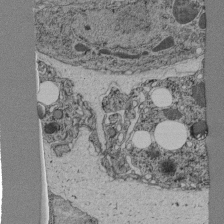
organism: C. elegans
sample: C. elegans pharynx